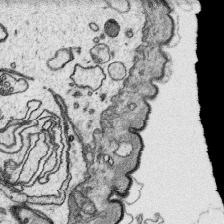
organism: Platynereis dumerilii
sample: Parapodia